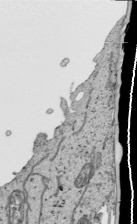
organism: Human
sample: Mitochondria in HCT116 cells